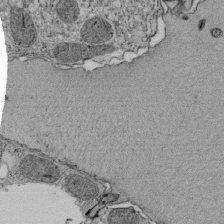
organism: Tetrahymena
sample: Cilia in tetrahymena